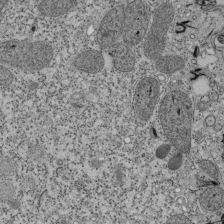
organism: Tetrahymena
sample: Cilia in tetrahymena